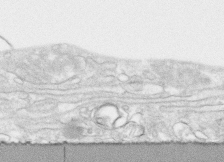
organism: Human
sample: CRL-1474